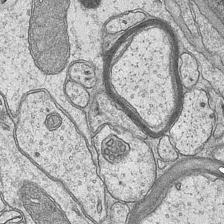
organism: Mouse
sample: CA1 Hippocampus